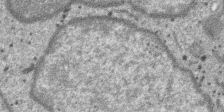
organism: Human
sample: Lung epithelial cells infected with SARS-CoV-2